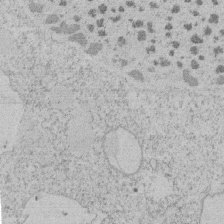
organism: Tetrahymena